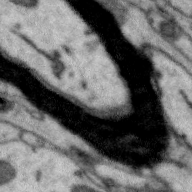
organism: Zebra finch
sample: Brain